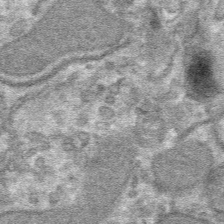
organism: Mouse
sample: Mouse hepatocytes